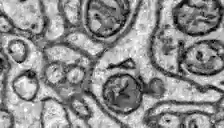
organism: Zebrafish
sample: Brain